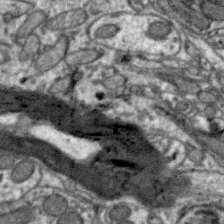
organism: Zebra finch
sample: Brain